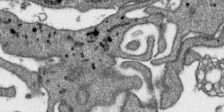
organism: Human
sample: Lung epithelial cells, uninfected (mock) control